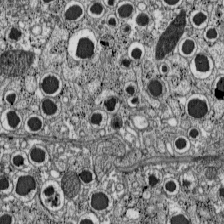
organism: C57BL Mouse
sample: Pancreatic islet